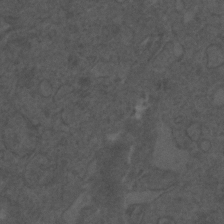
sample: Trachea